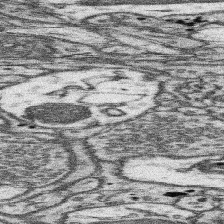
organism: Mouse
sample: Somatosensory cortex neuropil